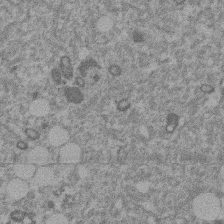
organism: Mouse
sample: Dividing mouse embryo 1 cell stage